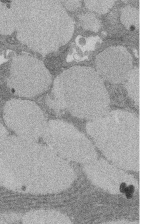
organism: Rat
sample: Salivary granule